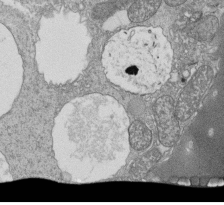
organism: Tetrahymena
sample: Cilia in tetrahymena